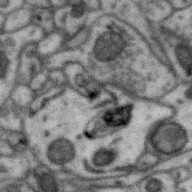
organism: Zebra finch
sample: Brain